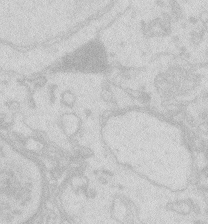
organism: Zebrafish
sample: Macrophage